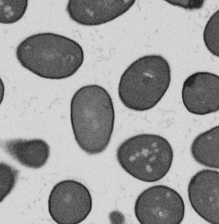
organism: B. subtilis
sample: Bacterial spore